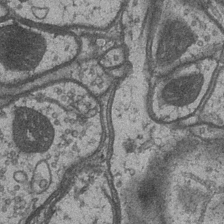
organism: Drosophila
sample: Optic medulla